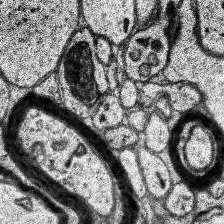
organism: Human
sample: Temporal Lobe